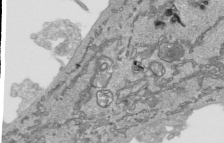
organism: Human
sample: Mitochondria in HCT116 cells